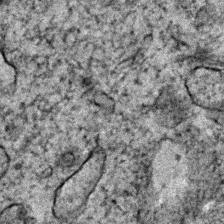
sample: Trachea